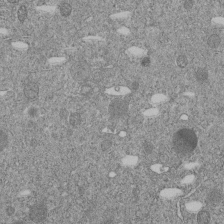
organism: C. elegans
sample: C. elegans embryo early stage